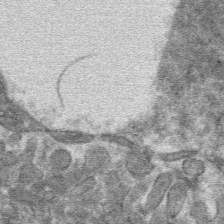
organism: Mouse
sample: Mouse hepatocytes